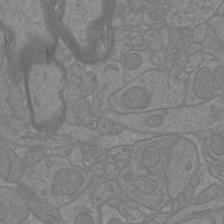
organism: Mouse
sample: Cortical neurons